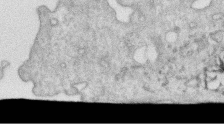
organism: Human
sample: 1205lu cells